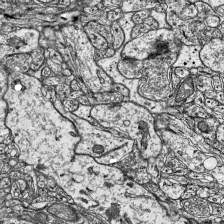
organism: Mouse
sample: Visual Cortex